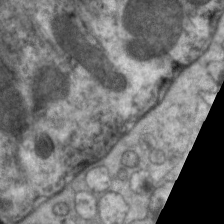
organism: C. elegans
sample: Pharynx